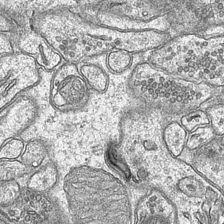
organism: Mouse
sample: CA1 Hippocampus